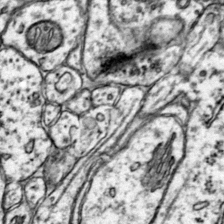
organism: Mouse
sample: Primary visual cortex